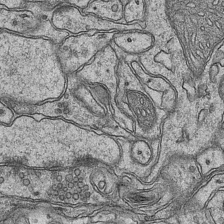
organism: Mouse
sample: CA1 Hippocampus